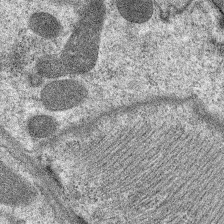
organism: C. elegans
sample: Pharynx